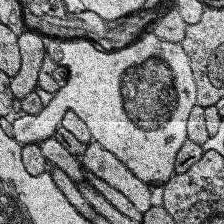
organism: Human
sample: Temporal Lobe